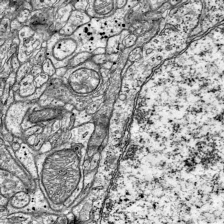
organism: Mouse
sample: Visual Cortex